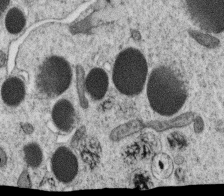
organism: C. elegans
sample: C. elegans oocyte; sperm cells